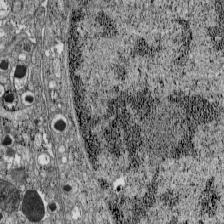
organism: C57BL Mouse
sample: Pancreatic islet